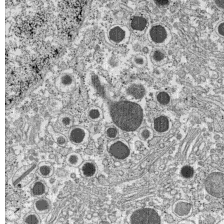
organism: C57BL Mouse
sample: Pancreatic islet